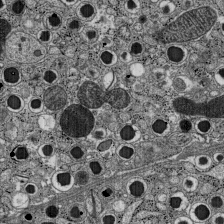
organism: C57BL Mouse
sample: Pancreatic islet